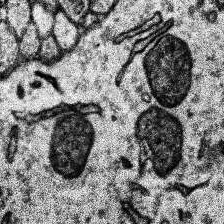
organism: Human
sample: Temporal Lobe